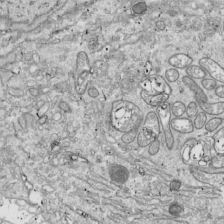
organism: Drosophila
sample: Cell division; meiosis; drosophila spermatocytes